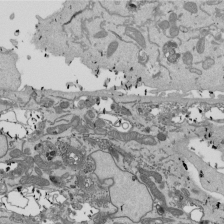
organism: Mouse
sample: ED-1 cell nuclei; centrioles